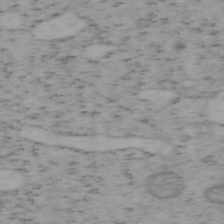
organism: Mouse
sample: OT-I killer T cells with ID8 ovarian cancer cells